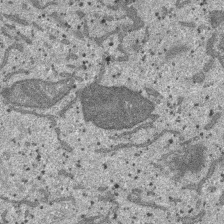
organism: Human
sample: Lung epithelial cells infected with SARS-CoV-2